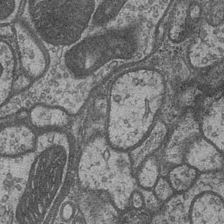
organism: Drosophila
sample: Optic medulla